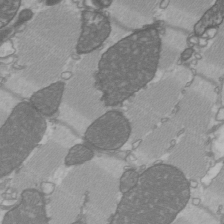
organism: C57BL Mouse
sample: Heart